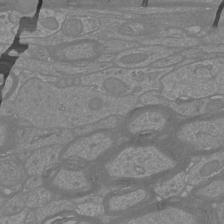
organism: Mouse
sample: Cortical neurons